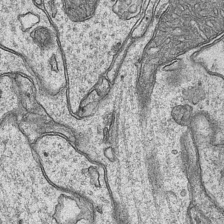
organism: Mouse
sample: CA1 Hippocampus